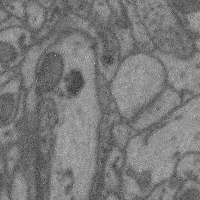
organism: Mouse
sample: Cerebral cortex